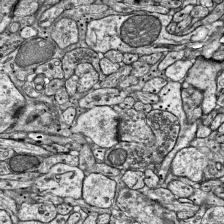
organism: Mouse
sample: Visual Cortex